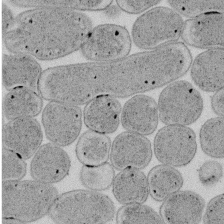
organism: E. coli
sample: Bacterial nucleoid